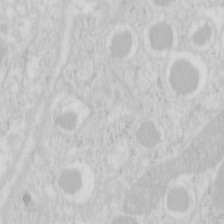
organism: Mouse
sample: Pancreas